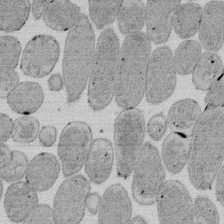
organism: E. coli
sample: Bacterial nucleoid